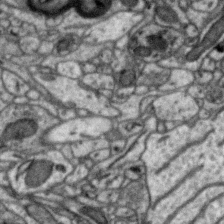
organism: Zebra finch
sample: Brain